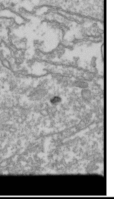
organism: Drosophila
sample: Cell division; meiosis; drosophila spermatocytes